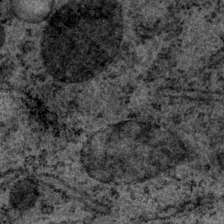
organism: P. pacificus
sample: Pharynx